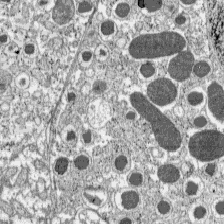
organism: C57BL Mouse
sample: Pancreatic islet